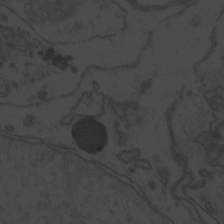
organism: Zebrafish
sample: Macrophage infected with Toxoplasma gondii